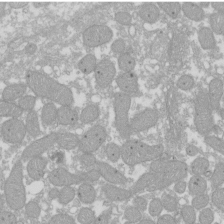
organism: Xenopus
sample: Cilia; centrioles in frog embryo cells